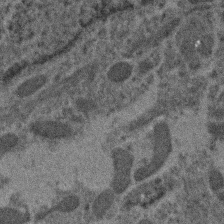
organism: Human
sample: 1205lu cells